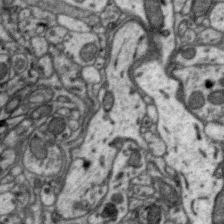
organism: Zebra finch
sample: Brain